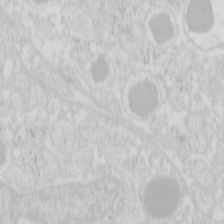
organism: Mouse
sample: Pancreas